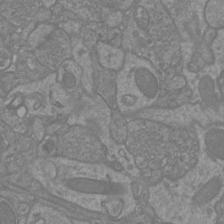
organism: Mouse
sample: Cortical neurons